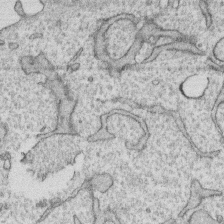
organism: Human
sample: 1205lu cells